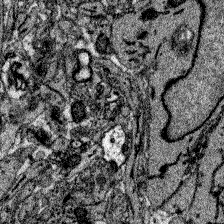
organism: Zebrafish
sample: Larval olfactory bulb